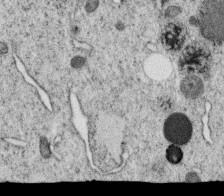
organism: C. elegans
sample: C. elegans oocyte; sperm cells